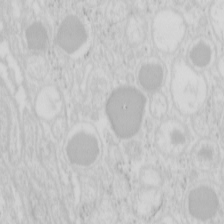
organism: Mouse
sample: Pancreas